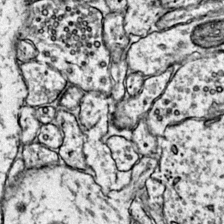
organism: Mouse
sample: Primary visual cortex